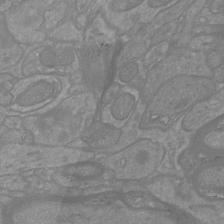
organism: Mouse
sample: Cortical neurons